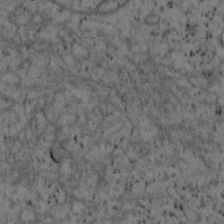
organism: Human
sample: HeLa cells